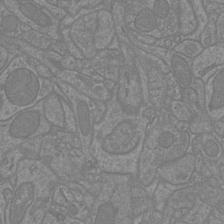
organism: Mouse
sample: Cortical neurons